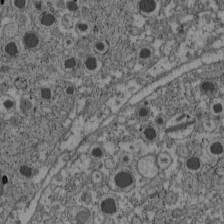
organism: C57BL Mouse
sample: Pancreatic islet